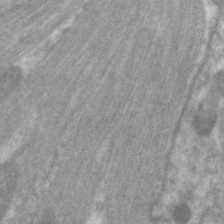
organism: C. elegans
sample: Pharynx